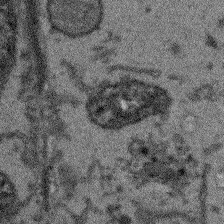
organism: Arabidopsis thaliana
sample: Root tip